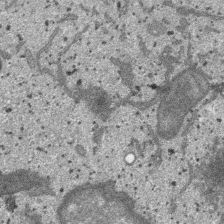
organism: Human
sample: Lung epithelial cells infected with SARS-CoV-2